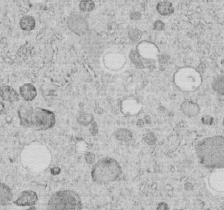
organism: C. elegans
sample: C. elegans embryo early stage